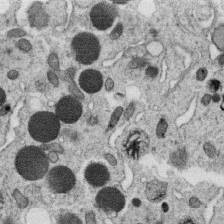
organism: C. elegans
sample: C. elegans oocyte; sperm cells